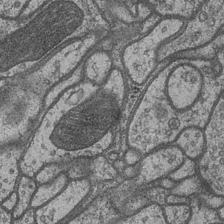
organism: Drosophila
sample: Optic medulla